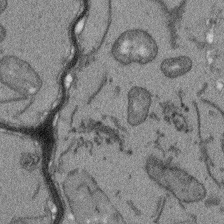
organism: Arabidopsis thaliana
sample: Root tip